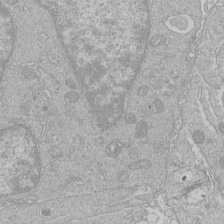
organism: Human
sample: Macrophage cells